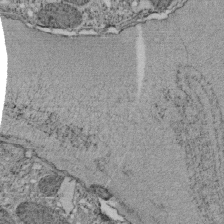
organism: Tetrahymena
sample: Cilia in tetrahymena